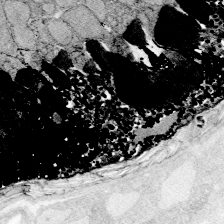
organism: Zebrafish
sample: Whole-Brain